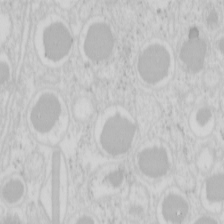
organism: Mouse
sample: Pancreas